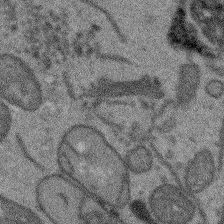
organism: Arabidopsis thaliana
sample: Root tip